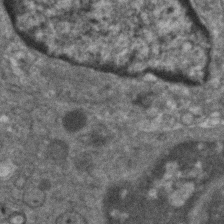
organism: Human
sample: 1205lu cells